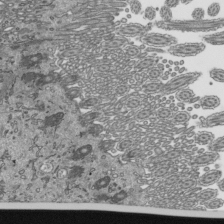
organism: Mouse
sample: Mouse epididymis efferent ductule cilia